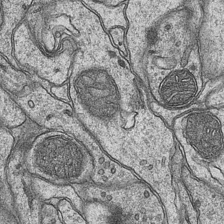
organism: Mouse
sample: CA1 Hippocampus